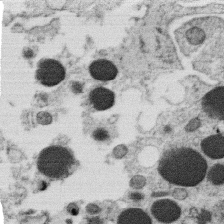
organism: C. elegans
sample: C. elegans oocyte; sperm cells